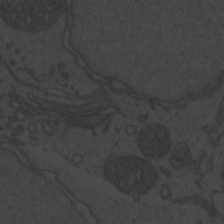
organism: Zebrafish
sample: Macrophage infected with Toxoplasma gondii